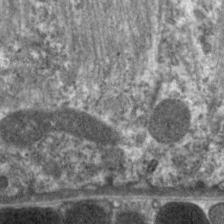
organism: C. elegans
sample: Pharynx